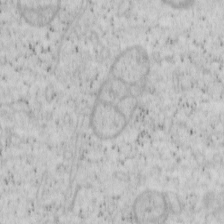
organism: Human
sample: HeLa cells